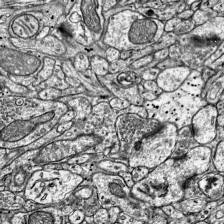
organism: Mouse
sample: Visual Cortex